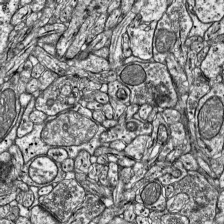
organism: Mouse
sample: Visual Cortex